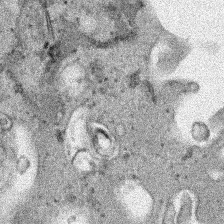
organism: Human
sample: Mitochondria in HCT116 cells